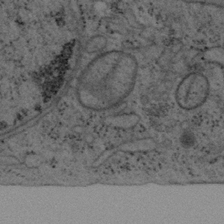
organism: Human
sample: HeLa cells